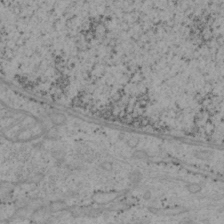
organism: Human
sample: HeLa cells